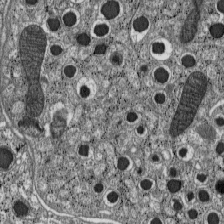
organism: C57BL Mouse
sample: Pancreatic islet